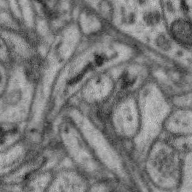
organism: Zebra finch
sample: Brain